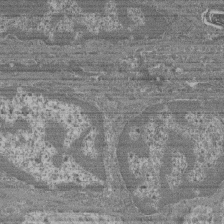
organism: Mouse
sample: Glomerulus